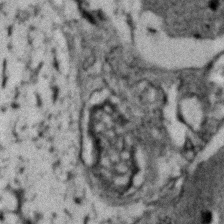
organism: Zebrafish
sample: Zebrafish embryo